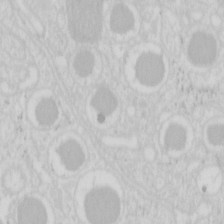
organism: Mouse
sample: Pancreas